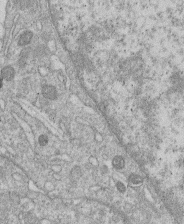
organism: Human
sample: Macrophage cells